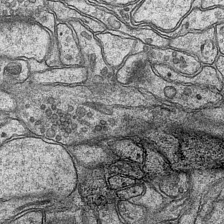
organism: Mouse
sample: CA1 Hippocampus